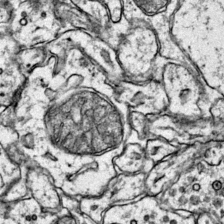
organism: Mouse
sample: Primary visual cortex